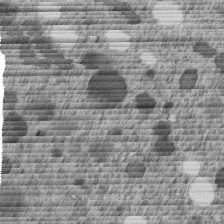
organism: C. elegans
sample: C. elegans embryo early stage